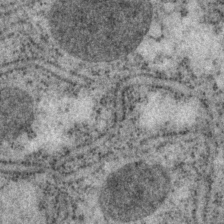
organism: P. pacificus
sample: Pharynx